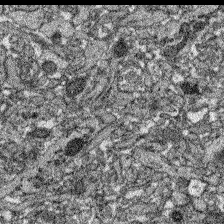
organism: Zebrafish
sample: Larval olfactory bulb